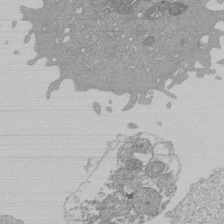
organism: Mouse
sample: Activated Pmel transgenic CD8+ T Cells